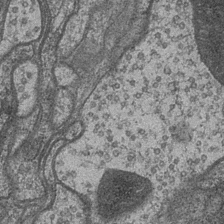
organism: Drosophila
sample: Optic medulla